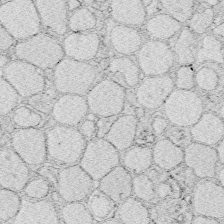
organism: Zebrafish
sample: Whole-Brain